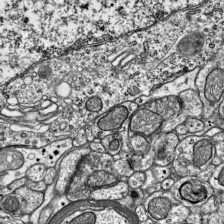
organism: Mouse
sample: Visual Cortex